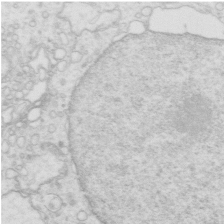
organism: Mouse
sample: Multiciliated cells